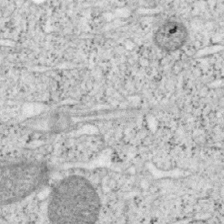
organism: Mouse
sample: OT-I killer T cells with ID8 ovarian cancer cells